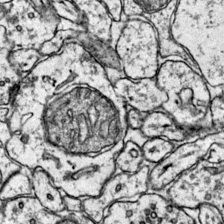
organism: Mouse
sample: Primary visual cortex